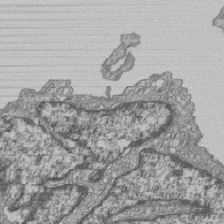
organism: Human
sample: MDA-MB-231 cells